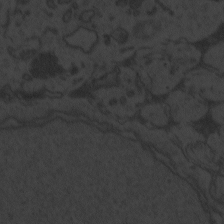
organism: Zebrafish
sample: Macrophage infected with Toxoplasma gondii